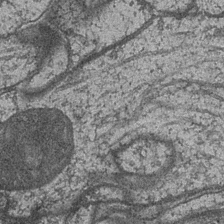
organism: Drosophila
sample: Optic medulla